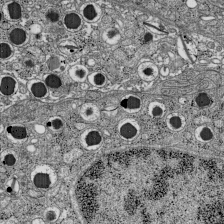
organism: C57BL Mouse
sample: Pancreatic islet